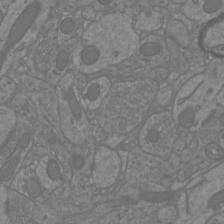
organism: Mouse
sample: Cortical neurons